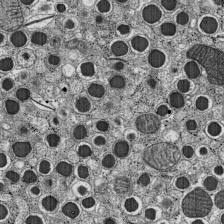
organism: C57BL Mouse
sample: Pancreatic islet